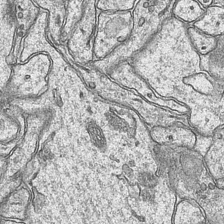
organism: Mouse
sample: CA1 Hippocampus